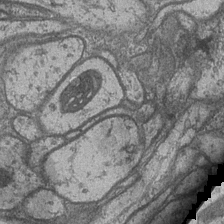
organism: Drosophila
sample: Optic medulla